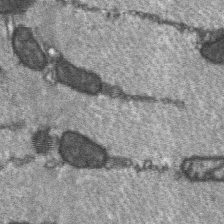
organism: C57BL Mouse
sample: Soleus